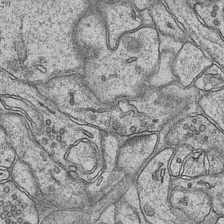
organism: Mouse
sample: CA1 Hippocampus